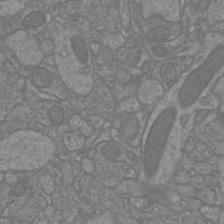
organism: Mouse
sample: Cortical neurons